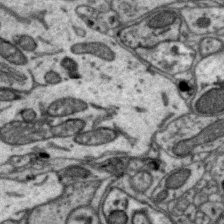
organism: Zebra finch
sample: Brain